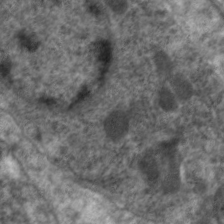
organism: C. elegans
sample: Pharynx